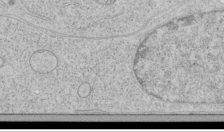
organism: Human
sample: Mitochondria in HCT116 cells